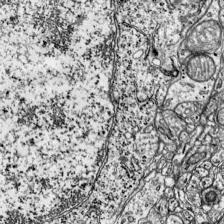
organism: Mouse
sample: Visual Cortex